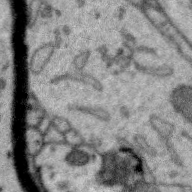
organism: Zebra finch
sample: Brain